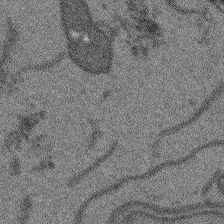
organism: Arabidopsis thaliana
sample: Root tip